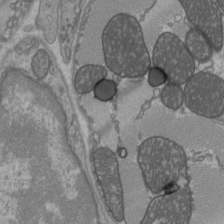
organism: C57BL Mouse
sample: Heart